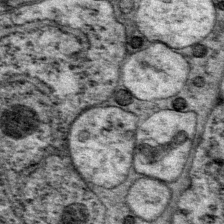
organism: P. pacificus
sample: Pharynx